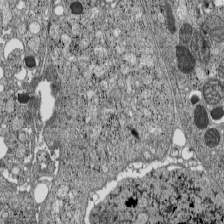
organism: C57BL Mouse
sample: Pancreatic islet